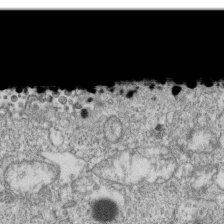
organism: Human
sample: HeLa cell HIV synapse